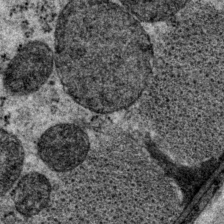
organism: P. pacificus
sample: Pharynx